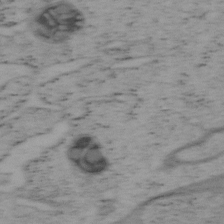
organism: Mouse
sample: OT-I killer T cells with ID8 ovarian cancer cells